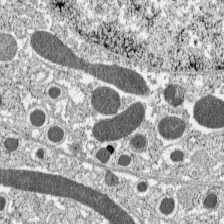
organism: C57BL Mouse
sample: Pancreatic islet